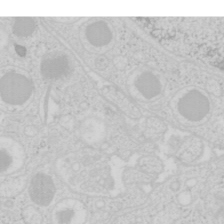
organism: Mouse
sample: Pancreas